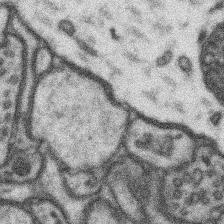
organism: Mouse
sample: Somatosensory cortex neuropil